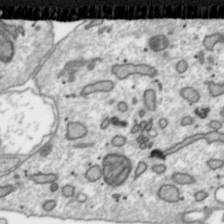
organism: Toxoplasma gondii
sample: Parasites in a vacuole inside a host cell